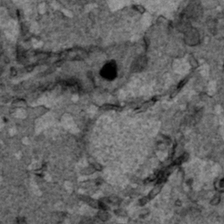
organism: Human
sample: Mitochondria in HCT116 cells